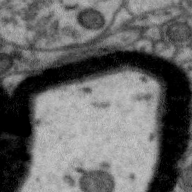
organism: Zebra finch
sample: Brain